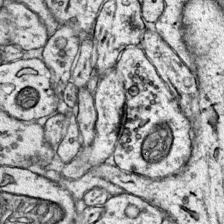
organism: Mouse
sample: Primary visual cortex